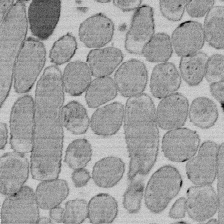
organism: E. coli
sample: Bacterial nucleoid